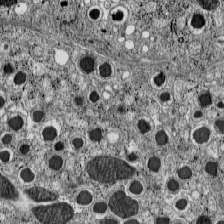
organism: C57BL Mouse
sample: Pancreatic islet